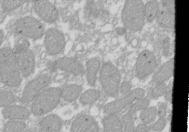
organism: Xenopus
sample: Cilia; centrioles in frog embryo cells